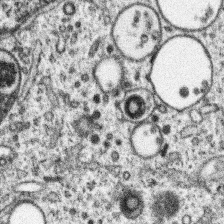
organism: Human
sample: HeLa cells